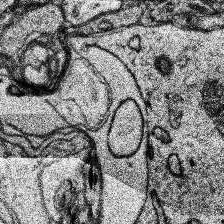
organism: Human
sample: Temporal Lobe